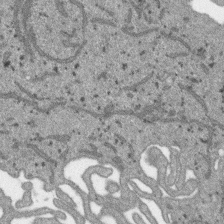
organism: Human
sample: Lung epithelial cells infected with SARS-CoV-2